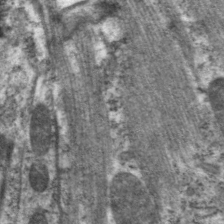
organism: C. elegans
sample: Pharynx